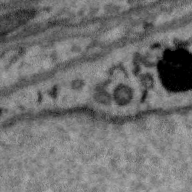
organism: Zebra finch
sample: Brain